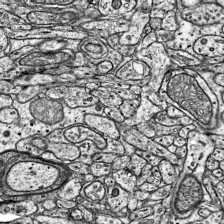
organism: Mouse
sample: Visual Cortex